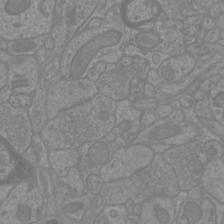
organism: Mouse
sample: Cortical neurons